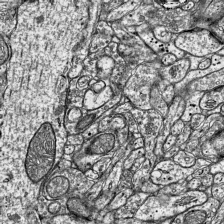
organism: Mouse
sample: Visual Cortex